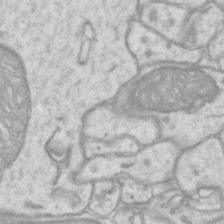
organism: Mouse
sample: CA1 Hippocampus